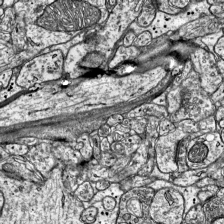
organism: Mouse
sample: Visual Cortex